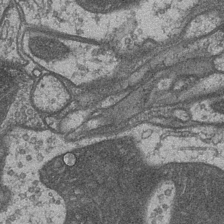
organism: Drosophila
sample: Optic medulla